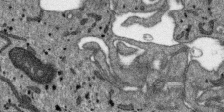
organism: Human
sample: Lung epithelial cells, uninfected (mock) control